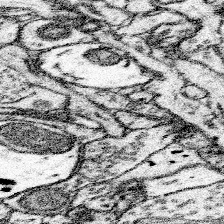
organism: Mouse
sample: Somatosensory cortex neuropil